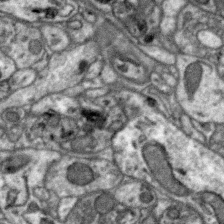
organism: Zebra finch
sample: Brain